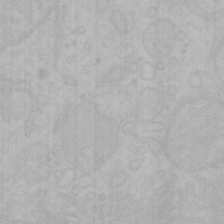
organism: Mouse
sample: Choroid plexus